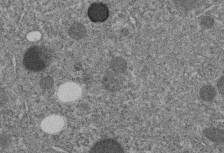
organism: C. elegans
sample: C. elegans embryo early stage